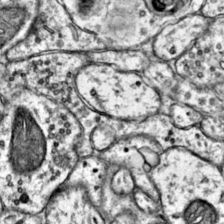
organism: Mouse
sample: Primary visual cortex